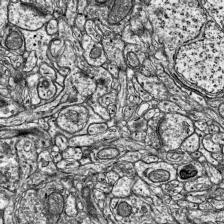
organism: Mouse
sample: Visual Cortex